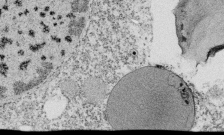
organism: Tetrahymena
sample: Cilia in tetrahymena